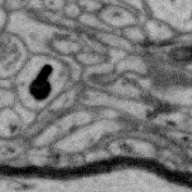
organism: Zebra finch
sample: Brain